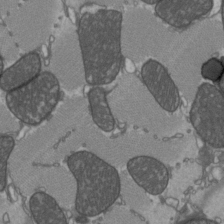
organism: C57BL Mouse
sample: Heart